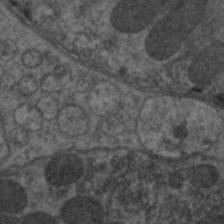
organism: C. elegans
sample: Pharynx